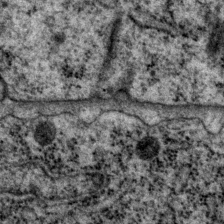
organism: P. pacificus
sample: Pharynx